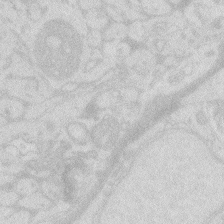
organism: Zebrafish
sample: Macrophage